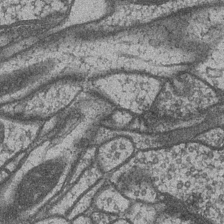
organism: Drosophila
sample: Optic medulla